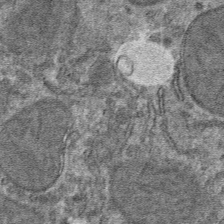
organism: Mouse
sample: Mouse hepatocytes